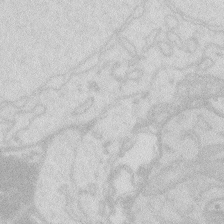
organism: Zebrafish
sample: Macrophage